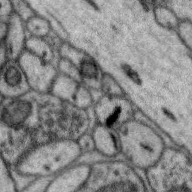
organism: Zebra finch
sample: Brain